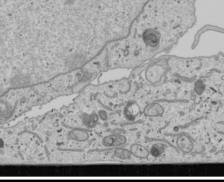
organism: Human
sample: Mitochondria in U2OS cells